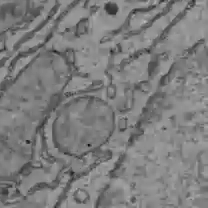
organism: C57BL Mouse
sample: Liver